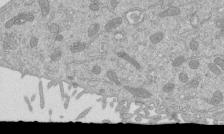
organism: Mouse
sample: ED-1 cell nuclei; centrioles